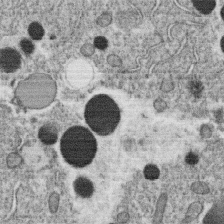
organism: C. elegans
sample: C. elegans oocyte; sperm cells